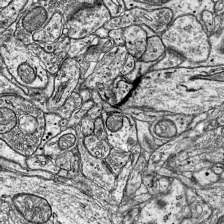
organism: Mouse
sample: Visual Cortex